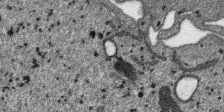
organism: Human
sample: Lung epithelial cells infected with SARS-CoV-2